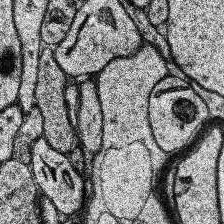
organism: Human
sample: Temporal Lobe